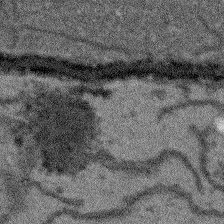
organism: Arabidopsis thaliana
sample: Root tip